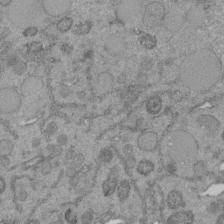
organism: C. elegans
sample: C. elegans embryo early stage